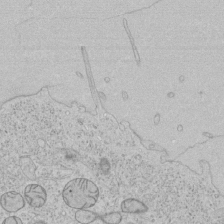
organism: Human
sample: Mitochondria in HCT116 cells